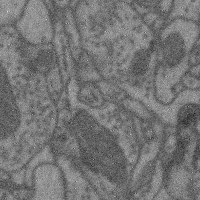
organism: Mouse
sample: Cerebral cortex